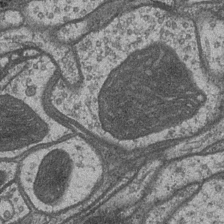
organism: Drosophila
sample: Optic medulla